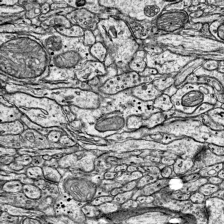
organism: Mouse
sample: Visual Cortex